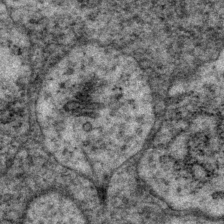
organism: P. pacificus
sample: Pharynx